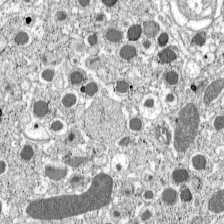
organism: C57BL Mouse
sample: Pancreatic islet